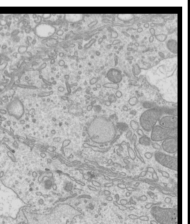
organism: Mouse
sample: Cilia; mouse epididymis